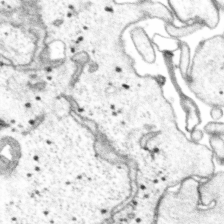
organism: Human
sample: HeLa cells